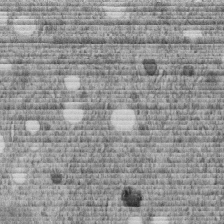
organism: C. elegans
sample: C. elegans embryo early stage